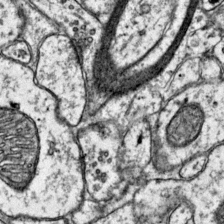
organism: Mouse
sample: Primary visual cortex